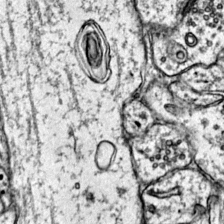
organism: Mouse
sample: Primary visual cortex